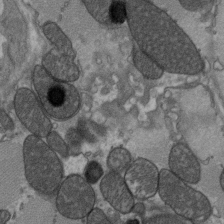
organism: C57BL Mouse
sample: Heart